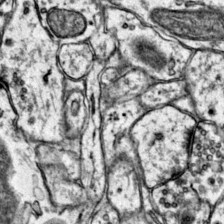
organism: Mouse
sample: Primary visual cortex